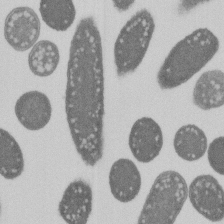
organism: E. coli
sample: Bacterial nucleoid